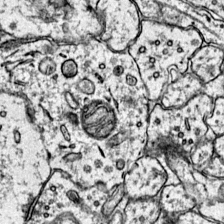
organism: Mouse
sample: Primary visual cortex